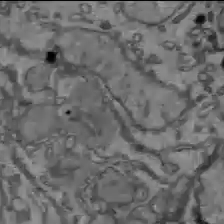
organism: C57BL Mouse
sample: Liver